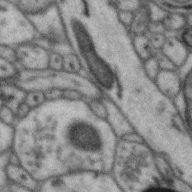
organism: Zebra finch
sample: Brain